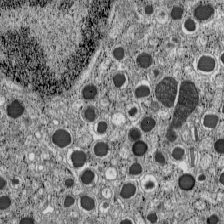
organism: C57BL Mouse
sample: Pancreatic islet